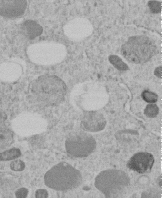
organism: C. elegans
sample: C. elegans embryo early stage